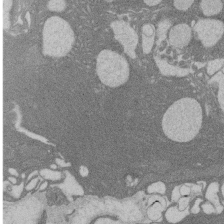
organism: Rat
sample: Salivary granule